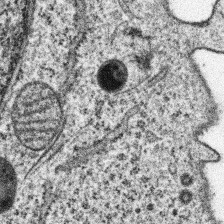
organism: Human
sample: HeLa cells